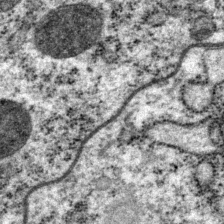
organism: P. pacificus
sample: Pharynx